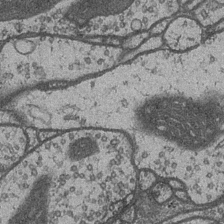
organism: Drosophila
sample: Optic medulla